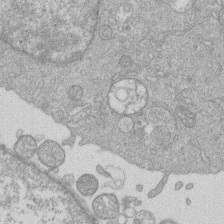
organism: Human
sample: Macrophage cells